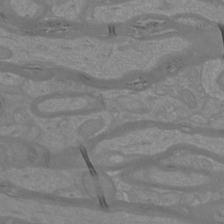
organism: Mouse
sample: Cortical neurons